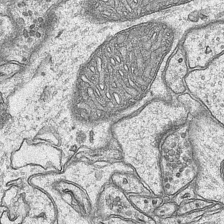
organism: Mouse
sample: CA1 Hippocampus